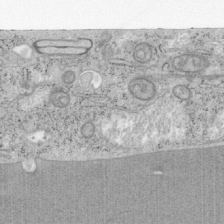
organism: Human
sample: HeLa cells